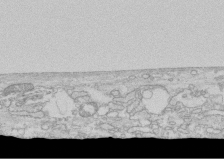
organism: Human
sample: CRL-1474